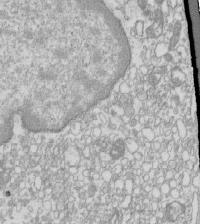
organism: Mouse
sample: Macrophages